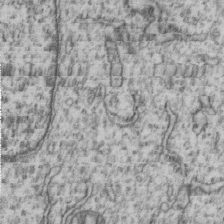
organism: Human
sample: MDA-MB-231 cells